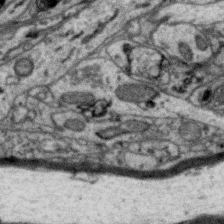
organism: Zebra finch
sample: Brain